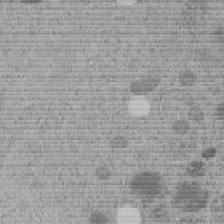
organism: C. elegans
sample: C. elegans embryo early stage